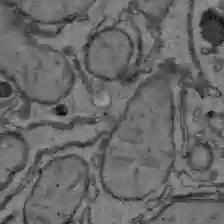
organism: C57BL Mouse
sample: Liver